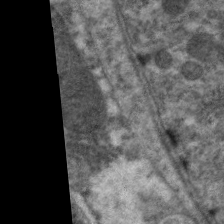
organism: C. elegans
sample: Pharynx